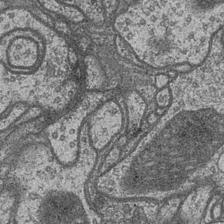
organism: Drosophila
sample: Optic medulla